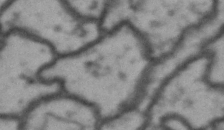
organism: Drosophila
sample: Brain